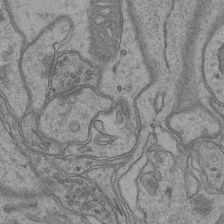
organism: Mouse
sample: CA1 Hippocampus